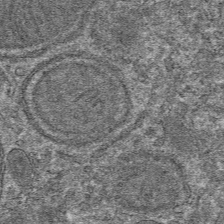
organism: Mouse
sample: Mouse hepatocytes